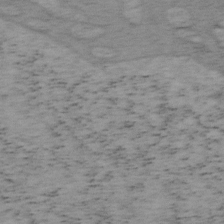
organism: Mouse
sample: OT-I killer T cells with ID8 ovarian cancer cells